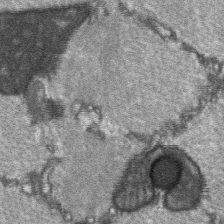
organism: C57BL Mouse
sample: Soleus